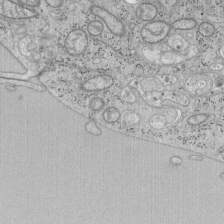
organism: Mouse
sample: OT-I killer T cells with ID8 ovarian cancer cells